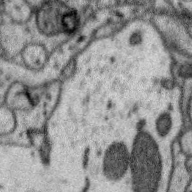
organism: Zebra finch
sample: Brain